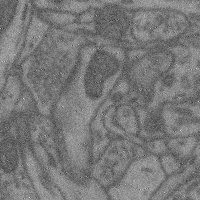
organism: Mouse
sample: Cerebral cortex